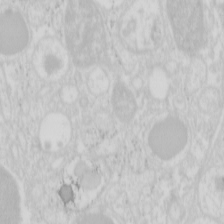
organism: Mouse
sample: Pancreas